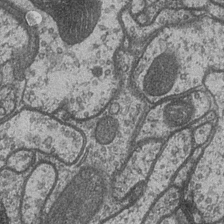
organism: Drosophila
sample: Optic medulla